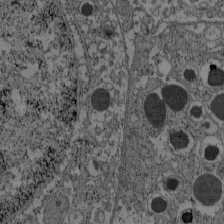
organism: C57BL Mouse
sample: Pancreatic islet